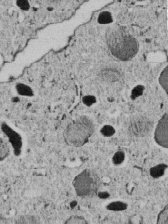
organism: C. elegans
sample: C. elegans embryo early stage